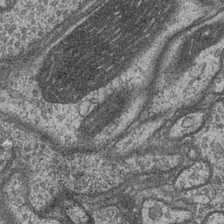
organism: Drosophila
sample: Optic medulla